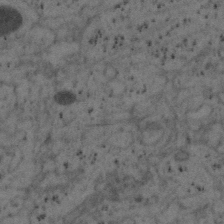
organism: Human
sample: HeLa cells